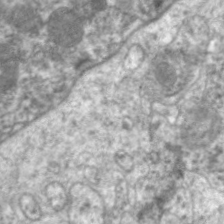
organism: C. elegans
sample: Pharynx